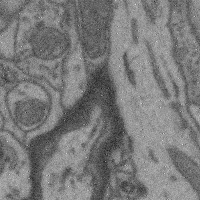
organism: Mouse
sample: Cerebral cortex